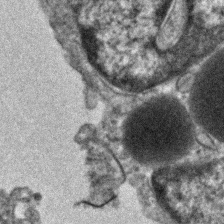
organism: Human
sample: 1205lu cells